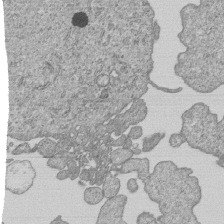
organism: Human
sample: MDA-MB-231 cells